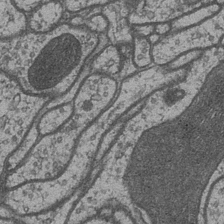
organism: Drosophila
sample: Optic medulla